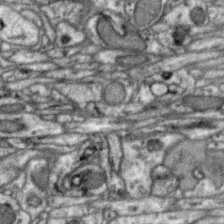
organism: Zebra finch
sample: Brain